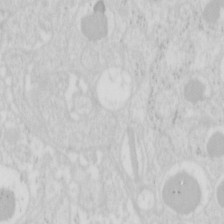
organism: Mouse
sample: Pancreas